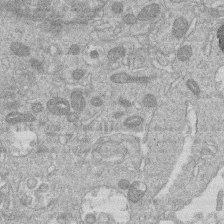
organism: Human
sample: Macrophage cells